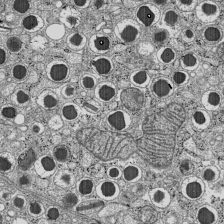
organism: C57BL Mouse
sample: Pancreatic islet